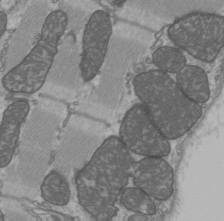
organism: C57BL Mouse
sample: Heart